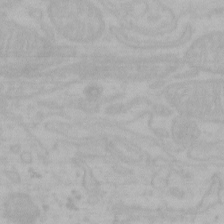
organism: Mouse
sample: Choroid plexus